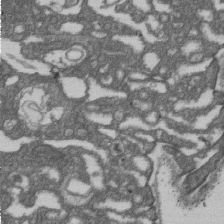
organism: Drosophila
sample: Nephrocyte